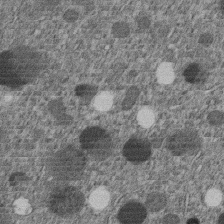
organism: C. elegans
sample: C. elegans embryo early stage